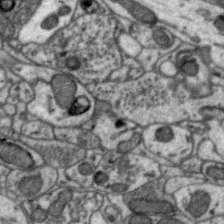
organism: Zebra finch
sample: Brain